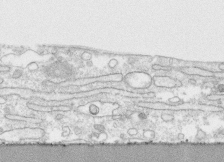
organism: Human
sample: CRL-1474